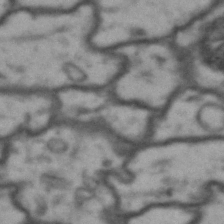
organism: Drosophila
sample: Brain